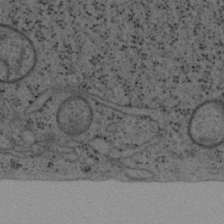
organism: Human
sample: HeLa cells